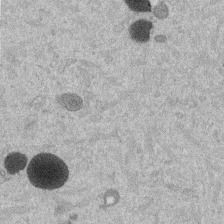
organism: Mouse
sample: Dividing mouse embryo 1 cell stage